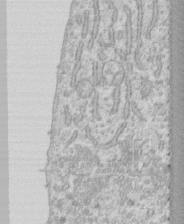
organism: Human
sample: CRL-1474